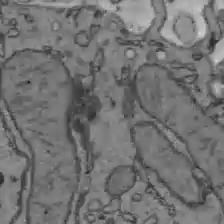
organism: C57BL Mouse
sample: Liver